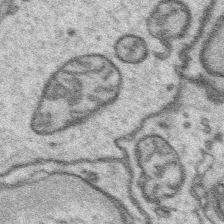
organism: Platynereis dumerilii